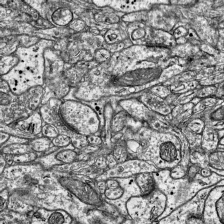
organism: Mouse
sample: Visual Cortex